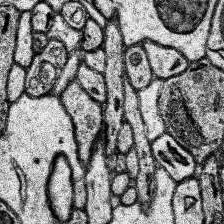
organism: Human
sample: Temporal Lobe